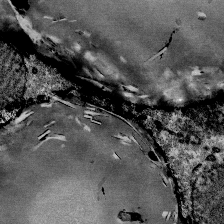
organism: Mouse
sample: Mouse Salivary gland